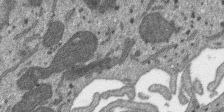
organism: Human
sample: Lung epithelial cells infected with SARS-CoV-2